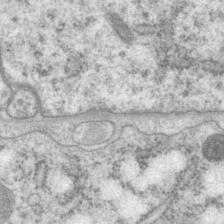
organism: P. pacificus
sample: Pharynx